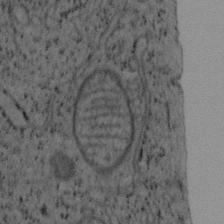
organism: Human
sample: HeLa cells